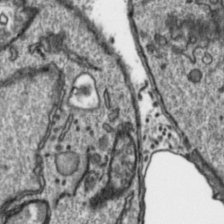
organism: Toxoplasma gondii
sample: Parasites in a vacuole inside a host cell